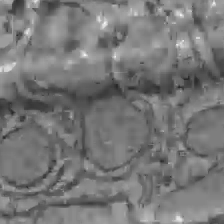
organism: C57BL Mouse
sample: Liver